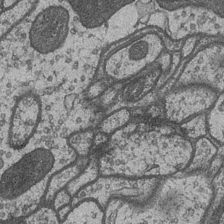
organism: Drosophila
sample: Optic medulla